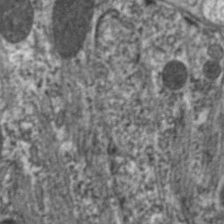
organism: C. elegans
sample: Pharynx